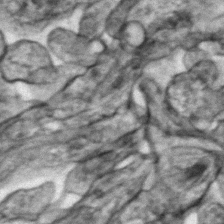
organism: Zebrafish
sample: Zebrafish embryo